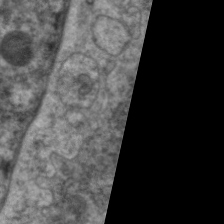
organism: C. elegans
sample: Pharynx